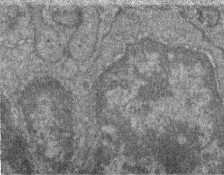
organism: Zebrafish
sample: Cilia; retinal pigment epithelium